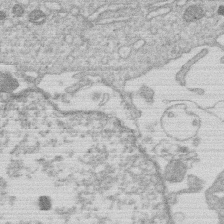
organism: Human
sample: Macrophage cells